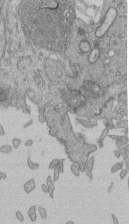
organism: Human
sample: Retinal organoid Rod and Cone cells